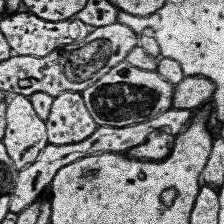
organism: Human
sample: Temporal Lobe